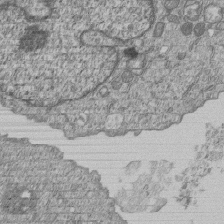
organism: Human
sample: MDA-MB-231 cells